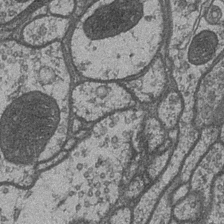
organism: Drosophila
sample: Optic medulla